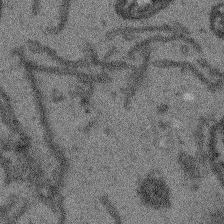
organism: Arabidopsis thaliana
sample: Root tip